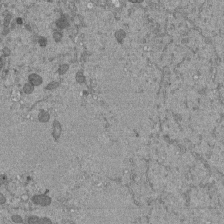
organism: Mouse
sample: ED-1 cell nuclei; centrioles